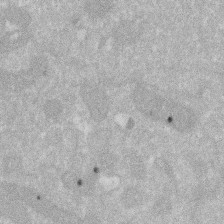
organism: Human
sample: HIV infected U937 cells